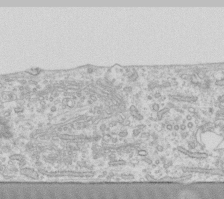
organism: Human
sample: Fibroblast cells